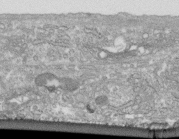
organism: Human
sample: Centriole in fibroblast cells